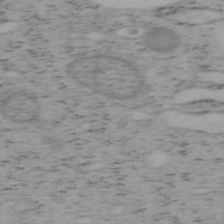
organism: Mouse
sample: OT-I killer T cells with ID8 ovarian cancer cells